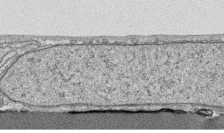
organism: Human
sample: CRL-1474